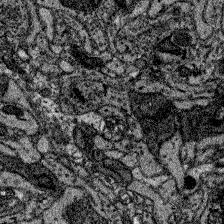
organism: Zebrafish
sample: Larval olfactory bulb